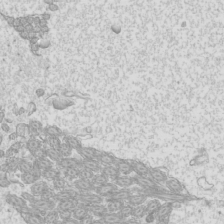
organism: Mouse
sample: Cilia; mouse epididymis